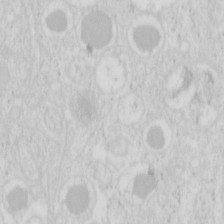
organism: Mouse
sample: Pancreas